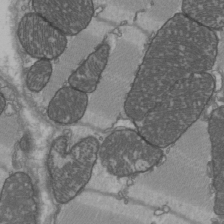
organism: C57BL Mouse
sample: Heart